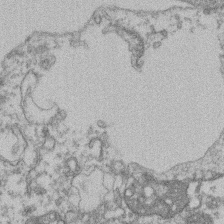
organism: Mouse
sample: T cell stromal cell synapse